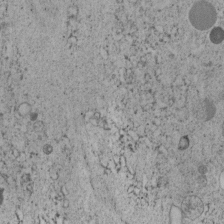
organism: C. elegans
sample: C. elegans embryo early stage